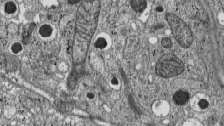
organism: C57BL Mouse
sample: Pancreatic islet